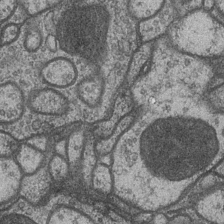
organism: Drosophila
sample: Optic medulla